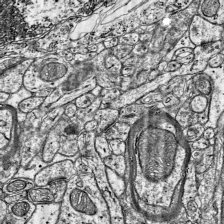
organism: Mouse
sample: Visual Cortex